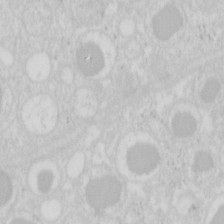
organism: Mouse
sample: Pancreas